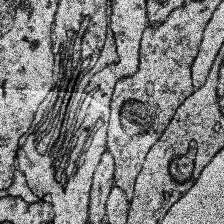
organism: Human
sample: Temporal Lobe